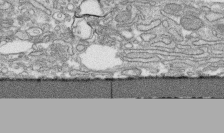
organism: Human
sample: CRL-1474